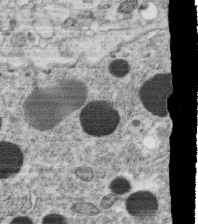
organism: C. elegans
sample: C. elegans oocyte; sperm cells